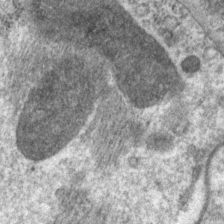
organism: P. pacificus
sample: Pharynx